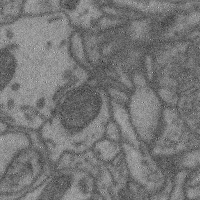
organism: Mouse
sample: Cerebral cortex